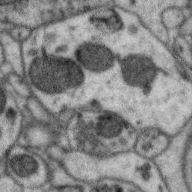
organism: Zebra finch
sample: Brain